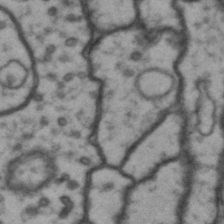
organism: Drosophila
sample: Brain